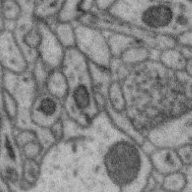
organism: Zebra finch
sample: Brain